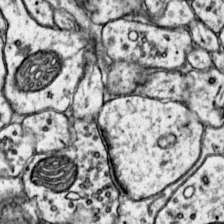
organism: Mouse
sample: Primary visual cortex